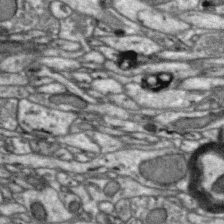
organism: Zebra finch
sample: Brain